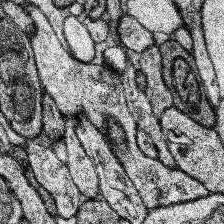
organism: Human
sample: Temporal Lobe